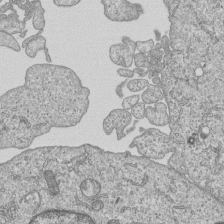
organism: Human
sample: MDA-MB-231 cells